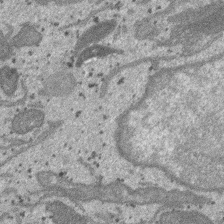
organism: Human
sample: Lung epithelial cells infected with SARS-CoV-2